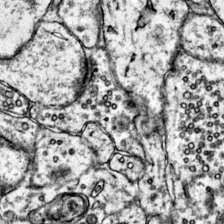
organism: Mouse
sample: Primary visual cortex